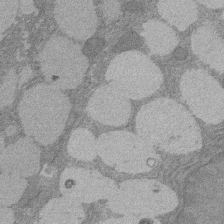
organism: Rat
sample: Salivary granule